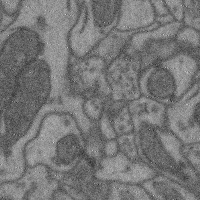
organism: Mouse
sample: Cerebral cortex